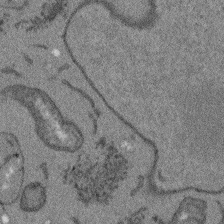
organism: Arabidopsis thaliana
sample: Root tip